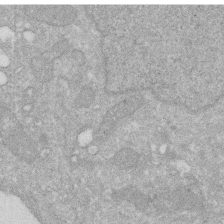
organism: Human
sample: HIV infected U937 cells